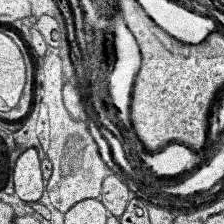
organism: Human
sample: Temporal Lobe